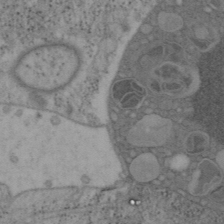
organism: Mouse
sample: OT-I killer T cells with ID8 ovarian cancer cells